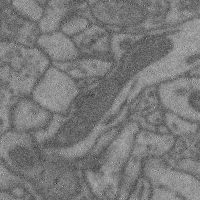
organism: Mouse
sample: Cerebral cortex